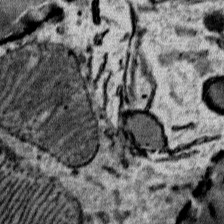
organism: Mouse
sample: Mouse Salivary gland